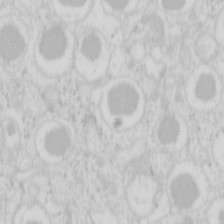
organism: Mouse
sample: Pancreas